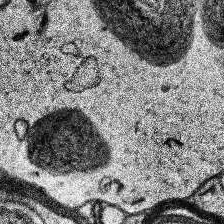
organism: Human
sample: Temporal Lobe